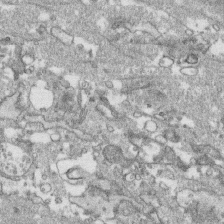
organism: Human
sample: CRL-1474